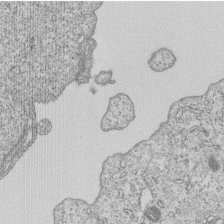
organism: Human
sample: MDA-MB-231 cells